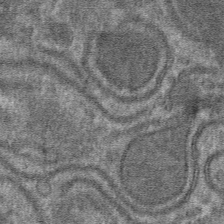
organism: Mouse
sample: Mouse hepatocytes